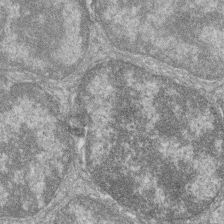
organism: Zebrafish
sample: Cilia; retinal pigment epithelium